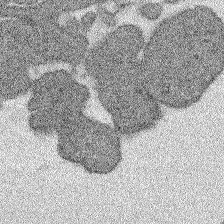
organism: Human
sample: HeLa cells